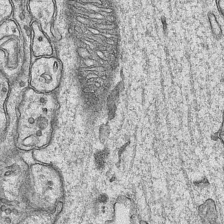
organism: Mouse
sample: CA1 Hippocampus